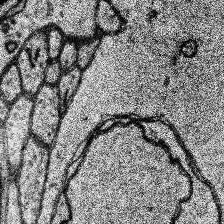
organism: Human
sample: Temporal Lobe